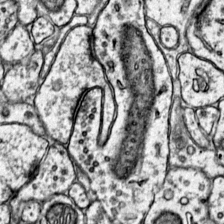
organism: Mouse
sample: Primary visual cortex